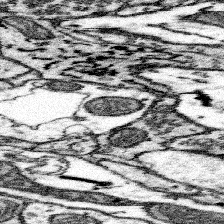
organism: Mouse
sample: Somatosensory cortex neuropil